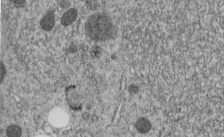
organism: C. elegans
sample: C. elegans embryo early stage